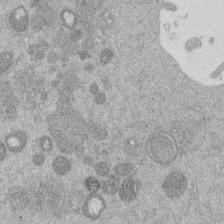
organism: Mouse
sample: Dividing mouse embryo 1 cell stage